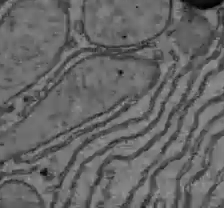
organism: C57BL Mouse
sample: Liver